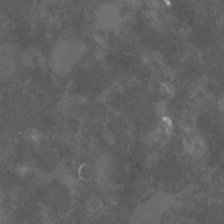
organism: C. elegans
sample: C. elegans embryo